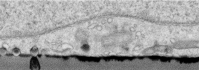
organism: Human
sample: Centriole in RPE cells